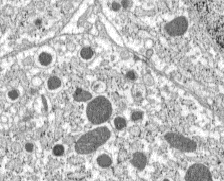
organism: C57BL Mouse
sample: Pancreatic islet